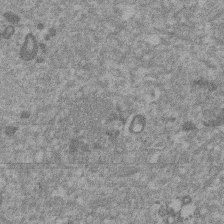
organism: Mouse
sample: Dividing mouse embryo 1 cell stage